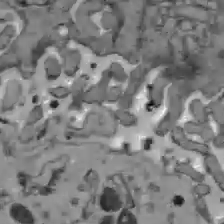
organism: C57BL Mouse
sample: Liver